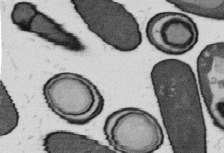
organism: B. subtilis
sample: Bacterial spore